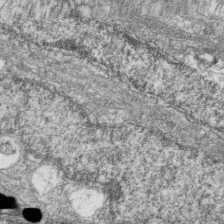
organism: Zebrafish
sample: Cilia; retinal pigment epithelium